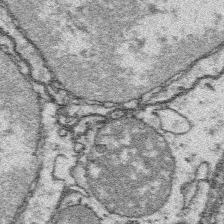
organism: Platynereis dumerilii